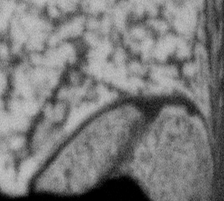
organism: Gemmata obscuriglobus